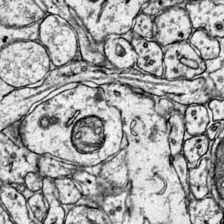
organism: Mouse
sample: Primary visual cortex